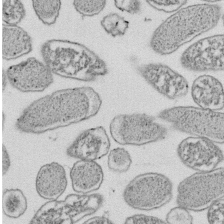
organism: E. coli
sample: Bacterial nucleoid